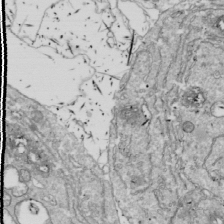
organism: Drosophila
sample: Cell division; meiosis; drosophila spermatocytes